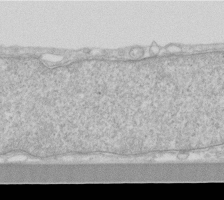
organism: Human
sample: Fibroblast cells